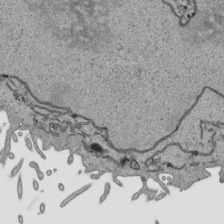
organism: Human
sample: Mitochondria in HCT116 cells